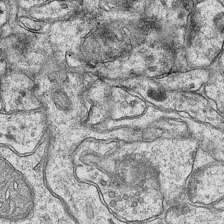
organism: Mouse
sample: CA1 Hippocampus